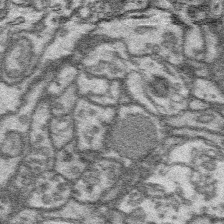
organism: Platynereis dumerilii